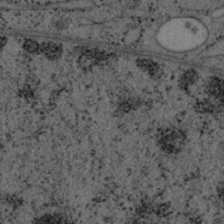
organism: Human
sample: HeLa cells